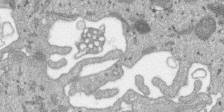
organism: Human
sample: Lung epithelial cells infected with SARS-CoV-2